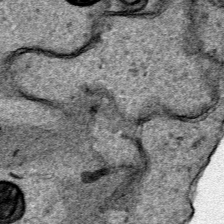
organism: Human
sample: Mitochondria in HCT116 cells